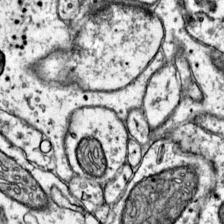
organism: Mouse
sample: Primary visual cortex